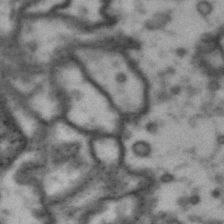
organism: Drosophila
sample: Brain